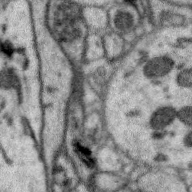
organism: Zebra finch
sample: Brain